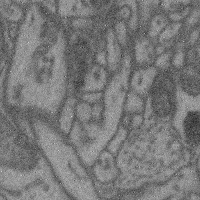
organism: Mouse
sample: Cerebral cortex